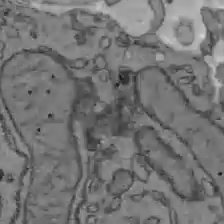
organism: C57BL Mouse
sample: Liver